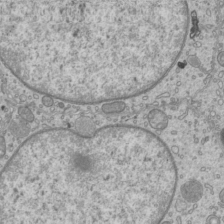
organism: Mouse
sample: Cilia; mouse epididymis